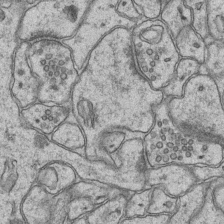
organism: Mouse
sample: CA1 Hippocampus